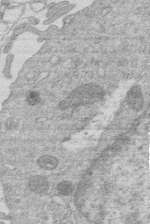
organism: Human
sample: Macrophage cells